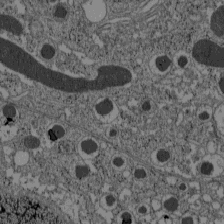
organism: C57BL Mouse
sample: Pancreatic islet